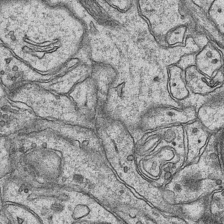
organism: Mouse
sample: CA1 Hippocampus